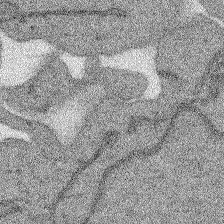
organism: Human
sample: HeLa cells